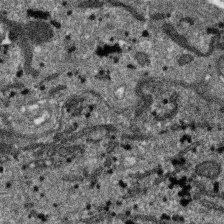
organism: Human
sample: Lung epithelial cells infected with SARS-CoV-2